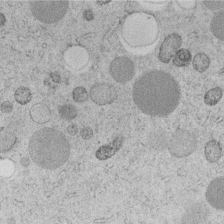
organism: C. elegans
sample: C. elegans embryo early stage